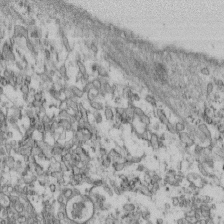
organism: Mouse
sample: Cilia; retinal pigment epithelium